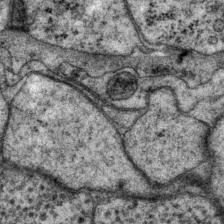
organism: P. pacificus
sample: Pharynx